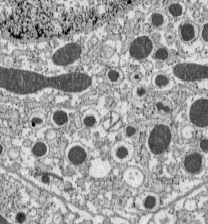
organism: C57BL Mouse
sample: Pancreatic islet